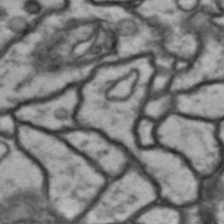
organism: Drosophila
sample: Brain